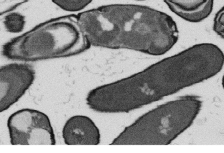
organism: B. subtilis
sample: Bacterial spore